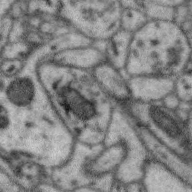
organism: Zebra finch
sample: Brain